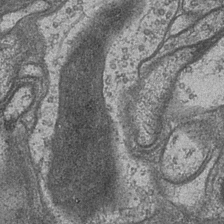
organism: Drosophila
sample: Optic medulla